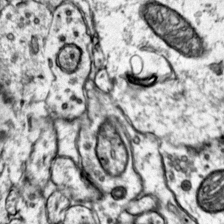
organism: Mouse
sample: Primary visual cortex